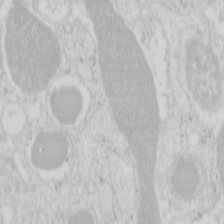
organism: Mouse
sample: Pancreas